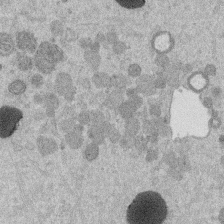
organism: Mouse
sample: Dividing mouse embryo 1 cell stage